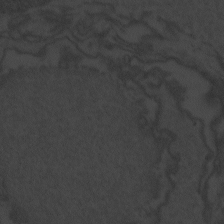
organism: Zebrafish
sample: Macrophage infected with Toxoplasma gondii